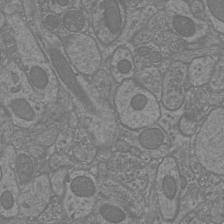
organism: Mouse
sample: Cortical neurons